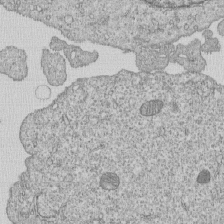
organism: Human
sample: MDA-MB-231 cells